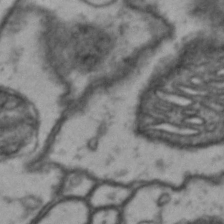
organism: Drosophila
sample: Brain